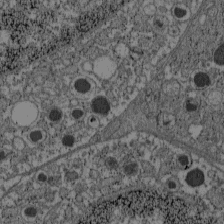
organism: C57BL Mouse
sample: Pancreatic islet